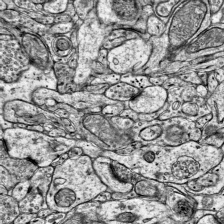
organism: Mouse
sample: Visual Cortex